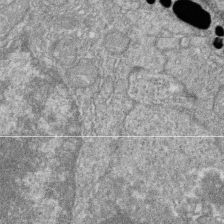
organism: Zebrafish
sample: Cilia; retinal pigment epithelium